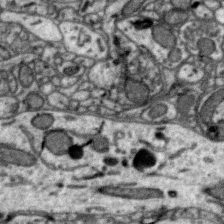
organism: Zebra finch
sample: Brain